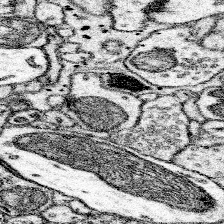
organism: Mouse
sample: Somatosensory cortex neuropil